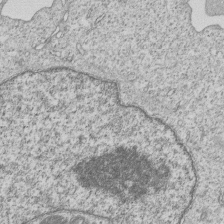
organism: Human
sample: MDA-MB-231 cells